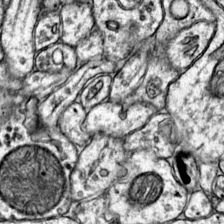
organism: Mouse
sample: Primary visual cortex